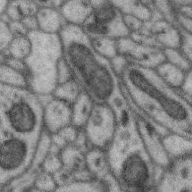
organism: Zebra finch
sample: Brain